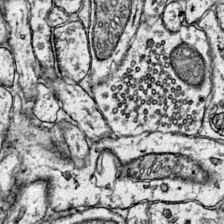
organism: Mouse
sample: Primary visual cortex